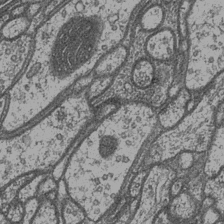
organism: Drosophila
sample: Optic medulla